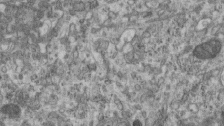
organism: Mouse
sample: Centriole in ependymal cells